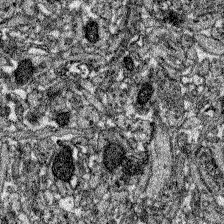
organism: Zebrafish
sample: Larval olfactory bulb